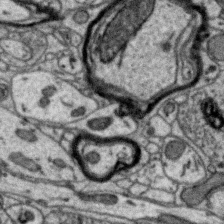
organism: Zebra finch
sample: Brain